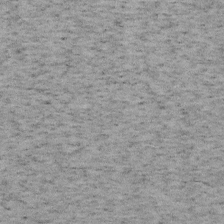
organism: Mouse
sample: OT-I killer T cells with ID8 ovarian cancer cells